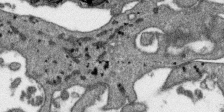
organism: Human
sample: Lung epithelial cells, uninfected (mock) control